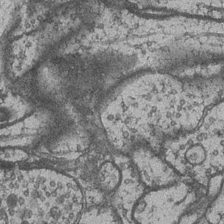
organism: Drosophila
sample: Optic medulla